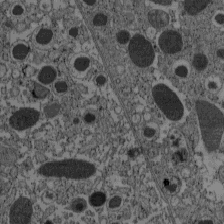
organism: C57BL Mouse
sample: Pancreatic islet